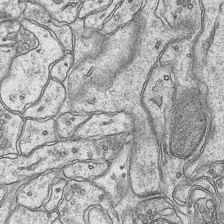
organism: Mouse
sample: CA1 Hippocampus